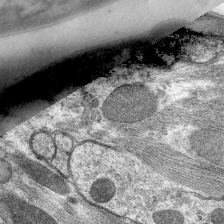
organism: C. elegans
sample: Pharynx